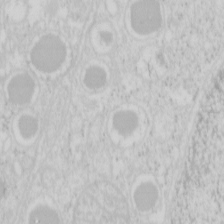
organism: Mouse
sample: Pancreas